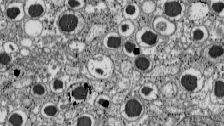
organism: C57BL Mouse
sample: Pancreatic islet